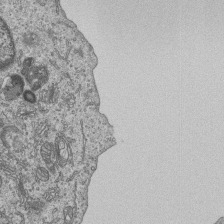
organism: Human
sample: MDA-MB-231 cells